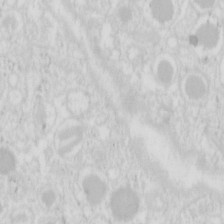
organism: Mouse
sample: Pancreas